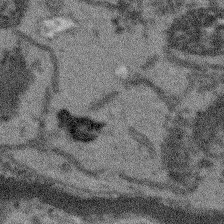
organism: Arabidopsis thaliana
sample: Root tip